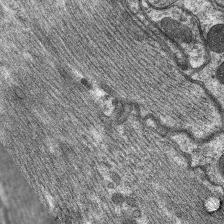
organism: C. elegans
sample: Pharynx